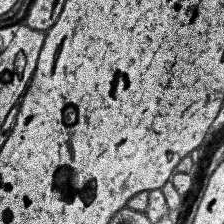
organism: Human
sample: Temporal Lobe